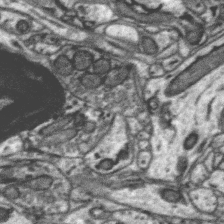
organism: Zebra finch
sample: Brain